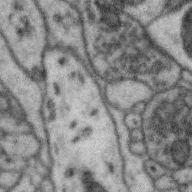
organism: Zebra finch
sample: Brain